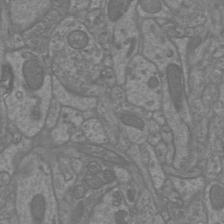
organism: Mouse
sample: Cortical neurons